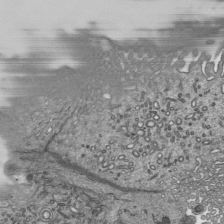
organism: Mouse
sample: Mouse epididymis efferent ductule cilia